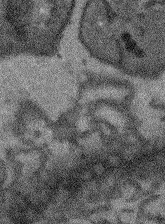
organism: Arabidopsis thaliana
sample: Root tip